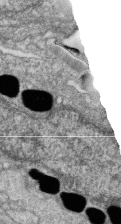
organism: Zebrafish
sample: Cilia; retinal pigment epithelium